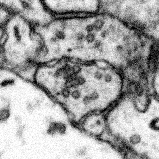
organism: Mouse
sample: Somatosensory cortex neuropil